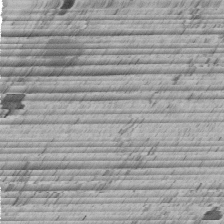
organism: C. elegans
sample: C. elegans embryo early stage